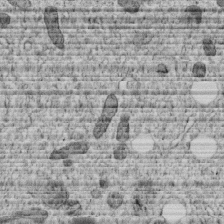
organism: C. elegans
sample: C. elegans embryo early stage